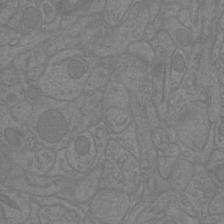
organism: Mouse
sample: Cortical neurons